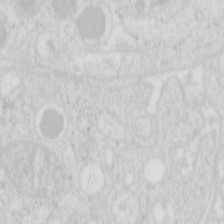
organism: Mouse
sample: Pancreas